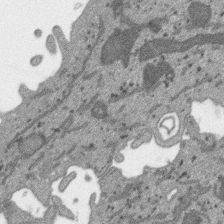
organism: Human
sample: Lung epithelial cells infected with SARS-CoV-2